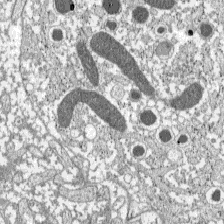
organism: C57BL Mouse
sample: Pancreatic islet